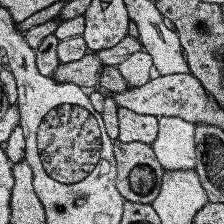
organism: Human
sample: Temporal Lobe